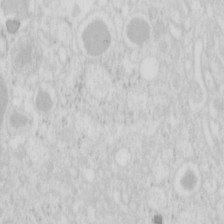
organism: Mouse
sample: Pancreas